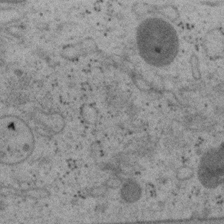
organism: Human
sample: HeLa cells